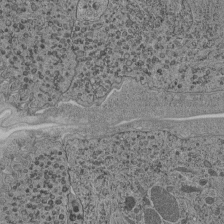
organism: C. elegans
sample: C. elegans pharynx